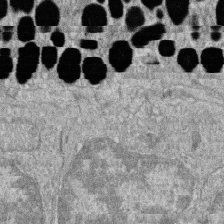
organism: Zebrafish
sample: Cilia; retinal pigment epithelium